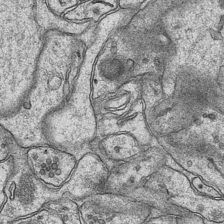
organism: Mouse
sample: CA1 Hippocampus